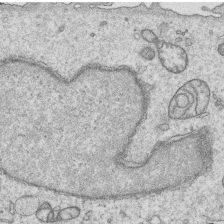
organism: Human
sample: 1205lu cells